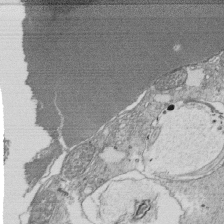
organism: Tetrahymena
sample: Cilia in tetrahymena